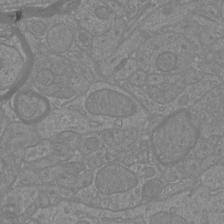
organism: Mouse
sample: Cortical neurons